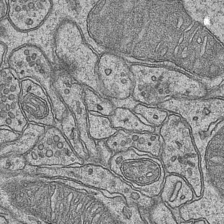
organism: Mouse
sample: CA1 Hippocampus